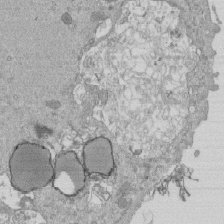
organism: Mouse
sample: ED-1 cell nuclei; centrioles